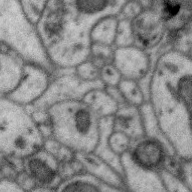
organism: Zebra finch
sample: Brain